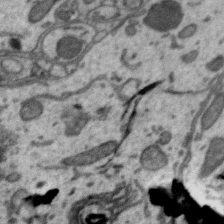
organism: Zebra finch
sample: Brain